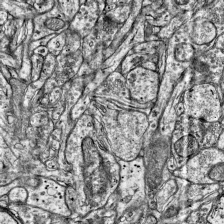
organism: Mouse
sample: Visual Cortex